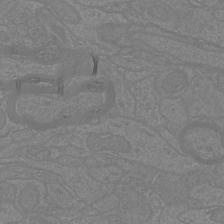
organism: Mouse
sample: Cortical neurons